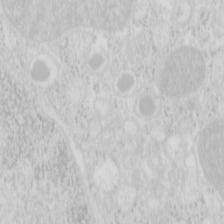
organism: Mouse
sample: Pancreas